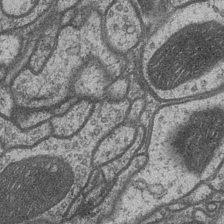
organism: Drosophila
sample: Optic medulla